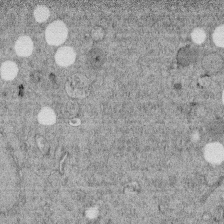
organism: C. elegans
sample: C. elegans embryo early stage